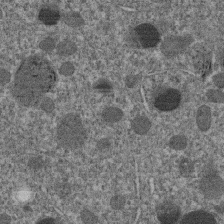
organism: C. elegans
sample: C. elegans embryo early stage